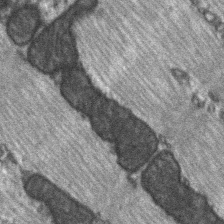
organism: C57BL Mouse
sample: Soleus